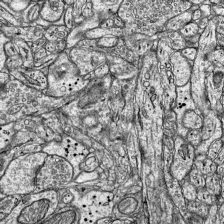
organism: Mouse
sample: Visual Cortex